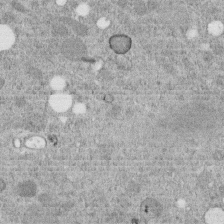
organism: C. elegans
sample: C. elegans embryo early stage